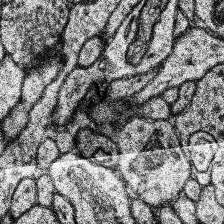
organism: Human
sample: Temporal Lobe